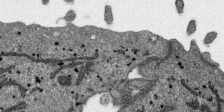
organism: Human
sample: Lung epithelial cells, uninfected (mock) control